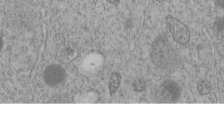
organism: C. elegans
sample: C. elegans embryo early stage